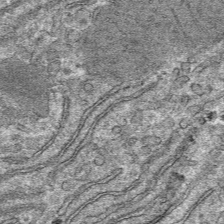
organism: Mouse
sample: Mouse hepatocytes